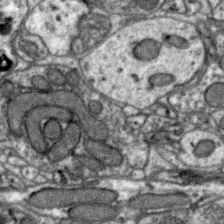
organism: Zebra finch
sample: Brain